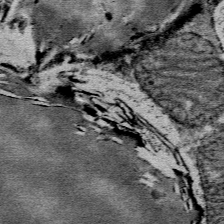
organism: Mouse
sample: Mouse Salivary gland